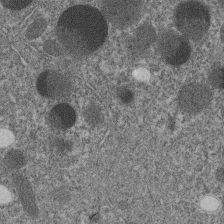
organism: C. elegans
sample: C. elegans embryo early stage